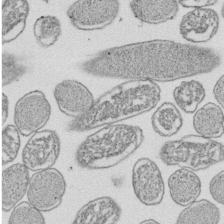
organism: E. coli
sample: Bacterial nucleoid